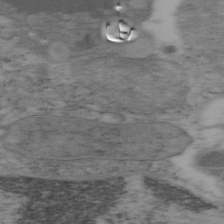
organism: Mouse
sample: OT-I killer T cells with ID8 ovarian cancer cells